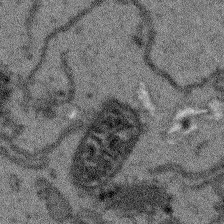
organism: Arabidopsis thaliana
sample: Root tip